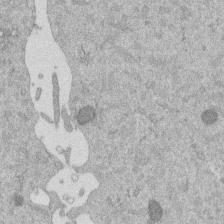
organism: Mouse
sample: Dividing mouse embryo 1 cell stage